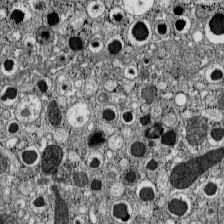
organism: C57BL Mouse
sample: Pancreatic islet